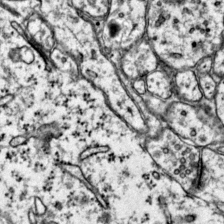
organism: Mouse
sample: Primary visual cortex